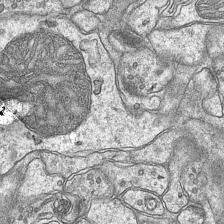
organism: Mouse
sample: CA1 Hippocampus